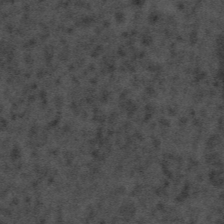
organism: Tuwongella immobilis